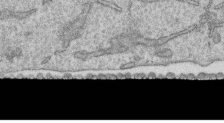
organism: Human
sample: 1205lu cells